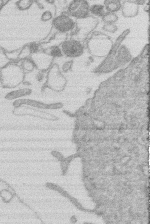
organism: Human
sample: Macrophage cells